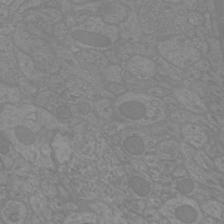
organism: Mouse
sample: Cortical neurons